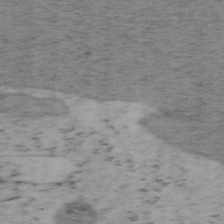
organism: Mouse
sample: OT-I killer T cells with ID8 ovarian cancer cells